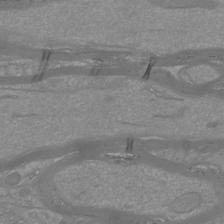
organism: Mouse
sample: Cortical neurons